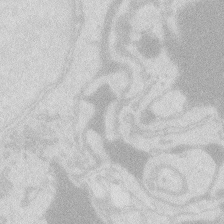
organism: Zebrafish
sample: Macrophage